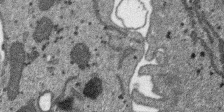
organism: Human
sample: Lung epithelial cells infected with SARS-CoV-2